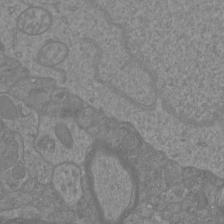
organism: Mouse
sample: Cortical neurons